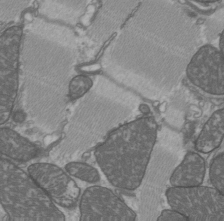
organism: C57BL Mouse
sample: Heart